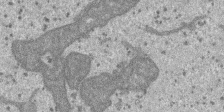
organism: Human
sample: Lung epithelial cells infected with SARS-CoV-2